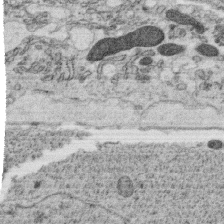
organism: C. elegans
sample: C. elegans oocyte; sperm cells